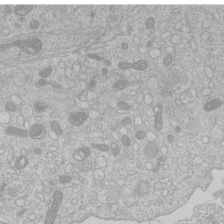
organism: Human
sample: Macrophage cells